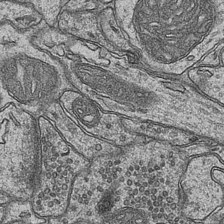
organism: Mouse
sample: CA1 Hippocampus